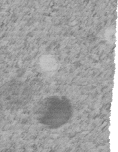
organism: C. elegans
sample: C. elegans embryo early stage